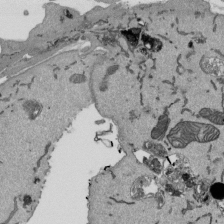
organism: Mouse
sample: ED-1 cell nuclei; centrioles